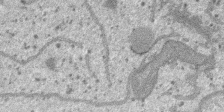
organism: Human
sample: Lung epithelial cells infected with SARS-CoV-2